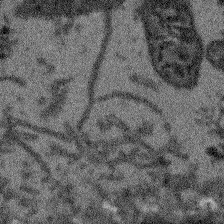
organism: Arabidopsis thaliana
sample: Root tip